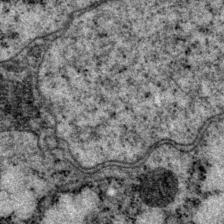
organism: P. pacificus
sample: Pharynx